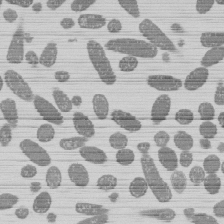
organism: E. coli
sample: Bacterial nucleoid